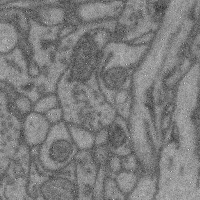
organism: Mouse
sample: Cerebral cortex